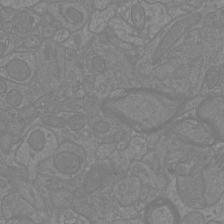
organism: Mouse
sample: Cortical neurons